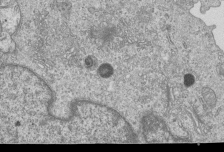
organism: Human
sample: MDA-MB-231 cells